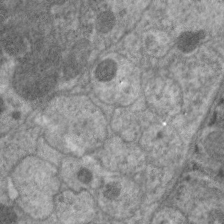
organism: C. elegans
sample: Pharynx